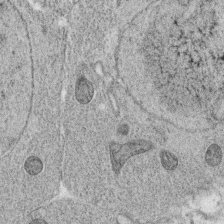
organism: C. elegans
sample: C. elegans oocyte; sperm cells